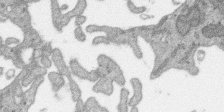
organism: Human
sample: Lung epithelial cells infected with SARS-CoV-2